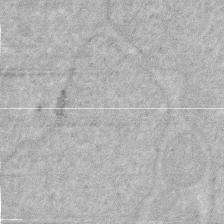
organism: Human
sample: HIV infected U937 cells